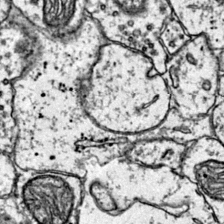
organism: Mouse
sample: Primary visual cortex